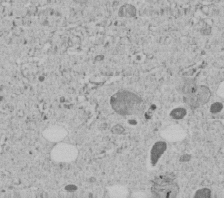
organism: C. elegans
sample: C. elegans embryo early stage